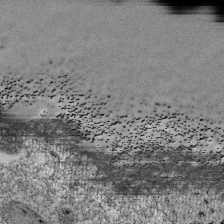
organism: Tetrahymena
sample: Cilia in tetrahymena